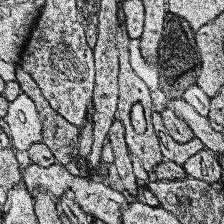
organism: Human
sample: Temporal Lobe